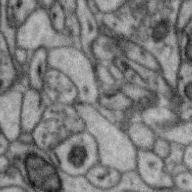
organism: Zebra finch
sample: Brain